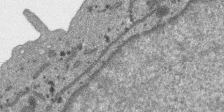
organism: Human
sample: Lung epithelial cells infected with SARS-CoV-2